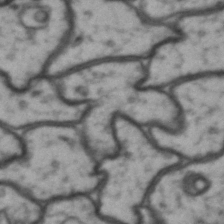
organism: Drosophila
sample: Brain